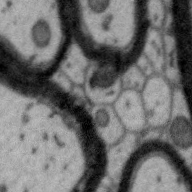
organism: Zebra finch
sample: Brain